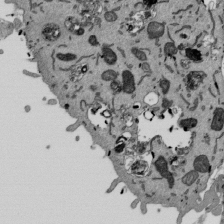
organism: Mouse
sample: ED-1 cell nuclei; centrioles